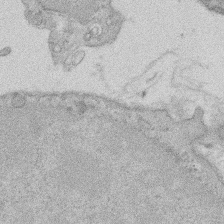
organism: Rat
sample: Salivary granule